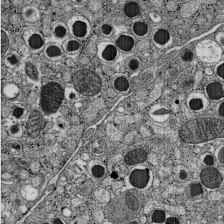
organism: C57BL Mouse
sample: Pancreatic islet